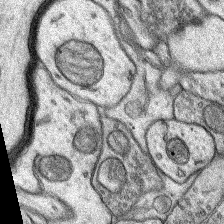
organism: Rat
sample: Hippocampus